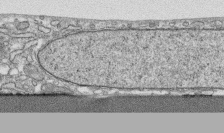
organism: Human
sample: CRL-1474